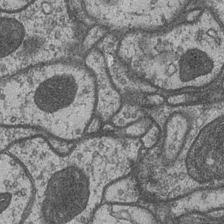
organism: Drosophila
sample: Optic medulla